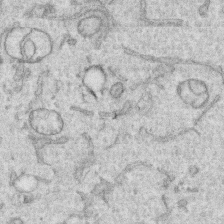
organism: Human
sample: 1205lu cells